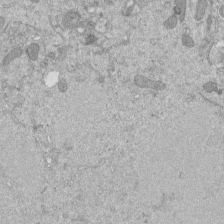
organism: Mouse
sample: ED-1 cell nuclei; centrioles